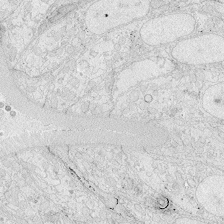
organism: Zebrafish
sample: Whole-Brain